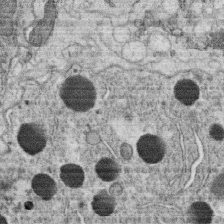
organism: C. elegans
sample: C. elegans oocyte; sperm cells